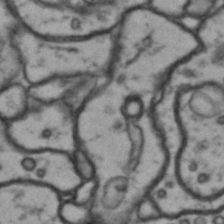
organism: Drosophila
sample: Brain